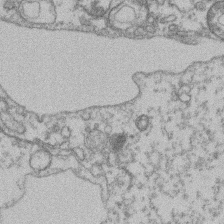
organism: Mouse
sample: T cell stromal cell synapse